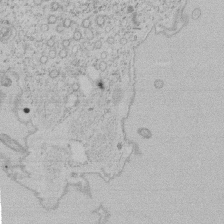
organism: Tetrahymena